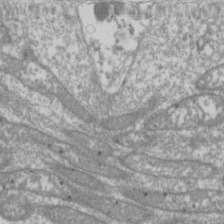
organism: Drosophila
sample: Cell division; meiosis; drosophila spermatocytes